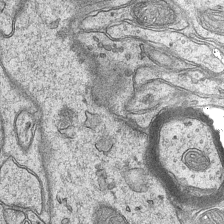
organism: Mouse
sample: CA1 Hippocampus